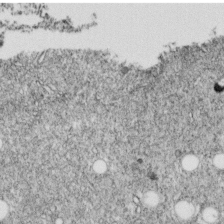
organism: C. elegans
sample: C. elegans embryo early stage